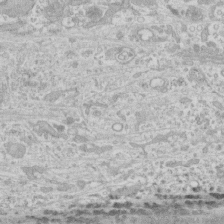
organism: Human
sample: CRL-1474